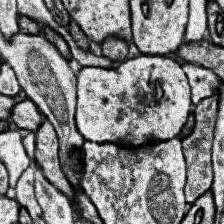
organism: Human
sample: Temporal Lobe